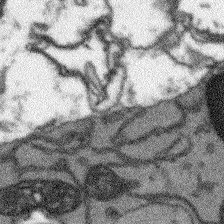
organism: Arabidopsis thaliana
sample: Root tip